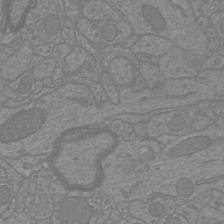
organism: Mouse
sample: Cortical neurons